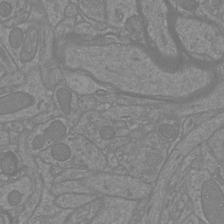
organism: Mouse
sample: Cortical neurons